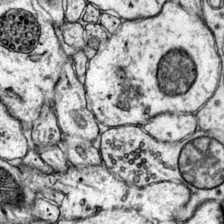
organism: Mouse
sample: Primary visual cortex